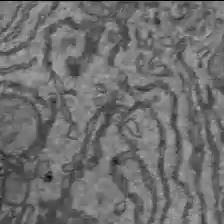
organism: C57BL Mouse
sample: Liver